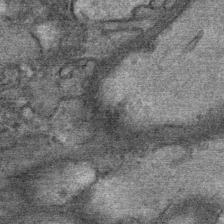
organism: Mouse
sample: Mouse Salivary gland